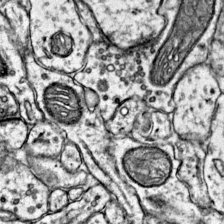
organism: Mouse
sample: Primary visual cortex